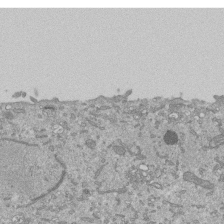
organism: Mouse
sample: ED-1 cell nuclei; centrioles